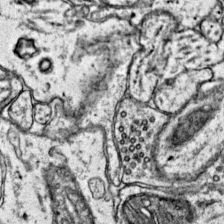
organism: Mouse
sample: Primary visual cortex